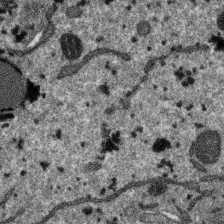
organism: Human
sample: Lung epithelial cells infected with SARS-CoV-2